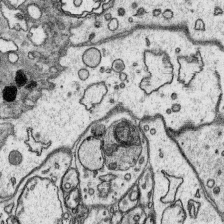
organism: Platynereis dumerilii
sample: Parapodia